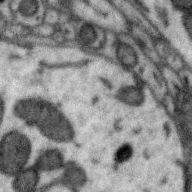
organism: Zebra finch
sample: Brain